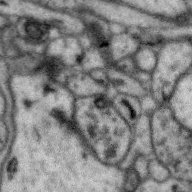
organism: Zebra finch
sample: Brain